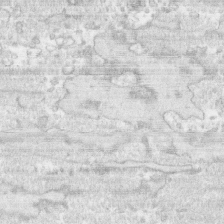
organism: Human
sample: CRL-1474